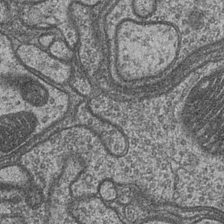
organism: Drosophila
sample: Optic medulla